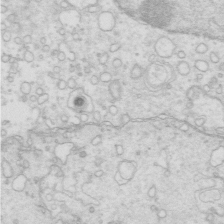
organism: Mouse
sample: Multiciliated cells